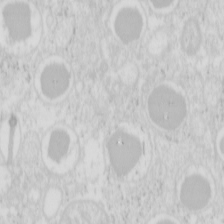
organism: Mouse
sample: Pancreas